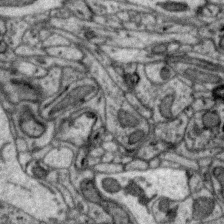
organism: Zebra finch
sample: Brain